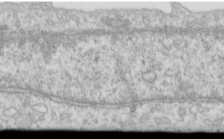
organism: Human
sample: Centriole in RPE cells